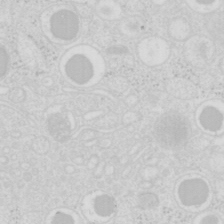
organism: Mouse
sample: Pancreas